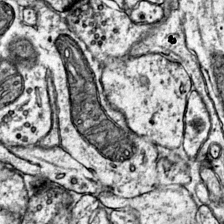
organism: Mouse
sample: Primary visual cortex